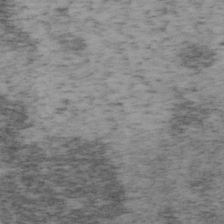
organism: Mouse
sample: OT-I killer T cells with ID8 ovarian cancer cells